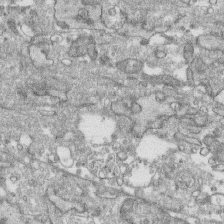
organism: Human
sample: CRL-1474